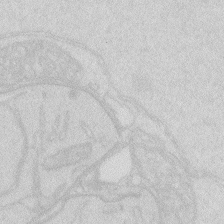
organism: Zebrafish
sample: Macrophage